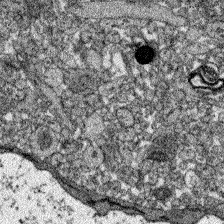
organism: Zebrafish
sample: Larval olfactory bulb